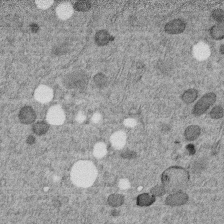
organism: C. elegans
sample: C. elegans embryo early stage